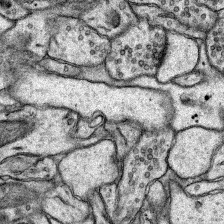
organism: Rat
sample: Hippocampus